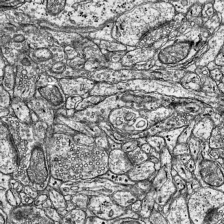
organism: Mouse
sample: Visual Cortex